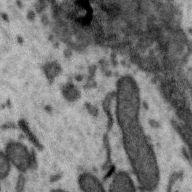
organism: Zebra finch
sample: Brain